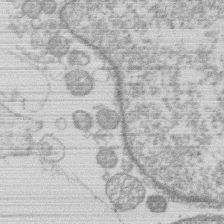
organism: Human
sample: Macrophage cells